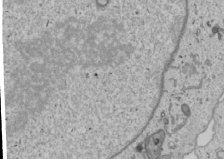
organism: Human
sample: Mitochondria in U2OS cells